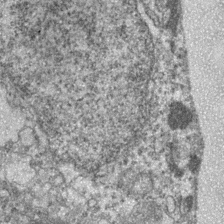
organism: Zebrafish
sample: Zebrafish embryo